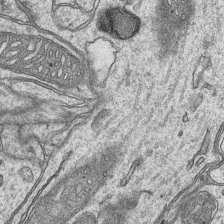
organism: Mouse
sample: CA1 Hippocampus